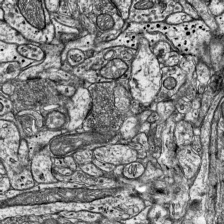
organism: Mouse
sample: Visual Cortex